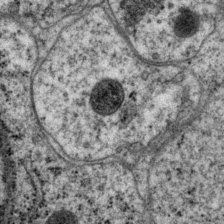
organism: P. pacificus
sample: Pharynx